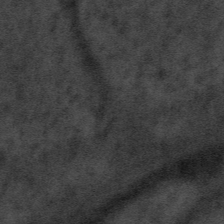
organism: Tuwongella immobilis